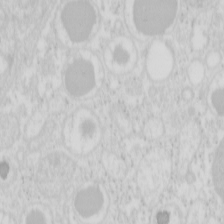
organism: Mouse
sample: Pancreas